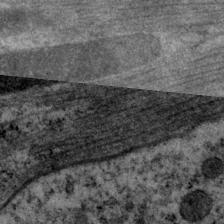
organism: P. pacificus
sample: Pharynx